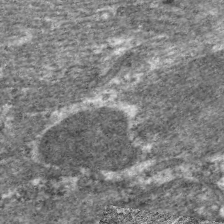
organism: C. elegans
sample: Pharynx